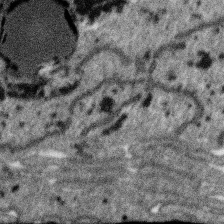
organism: Human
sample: Lung epithelial cells infected with SARS-CoV-2